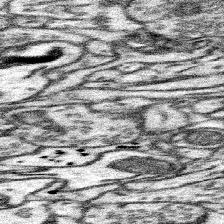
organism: Mouse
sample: Somatosensory cortex neuropil